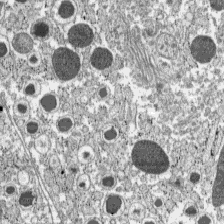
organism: C57BL Mouse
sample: Pancreatic islet